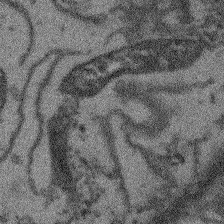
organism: Arabidopsis thaliana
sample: Root tip